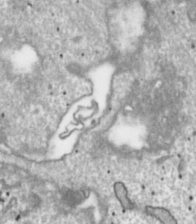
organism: Toxoplasma gondii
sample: Parasites in a vacuole inside a host cell